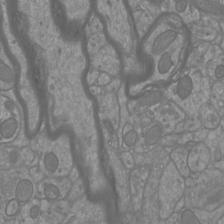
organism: Mouse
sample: Cortical neurons